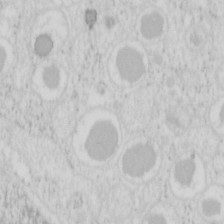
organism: Mouse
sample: Pancreas